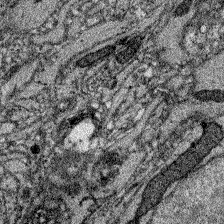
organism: Zebrafish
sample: Larval olfactory bulb